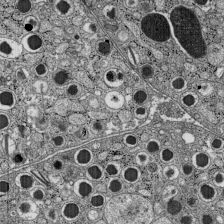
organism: C57BL Mouse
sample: Pancreatic islet